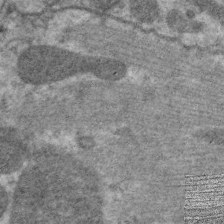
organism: C. elegans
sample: Pharynx